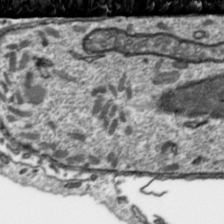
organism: Toxoplasma gondii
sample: Parasites in a vacuole inside a host cell